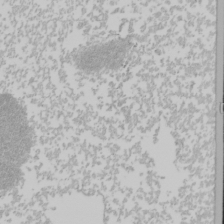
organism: Mouse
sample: Cancer cell death in ED-1 cells